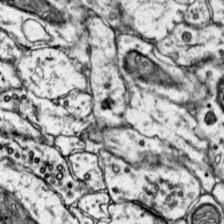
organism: Mouse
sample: Primary visual cortex